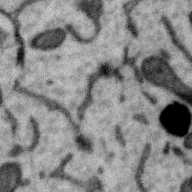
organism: Zebra finch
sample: Brain